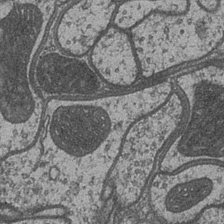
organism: Drosophila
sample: Optic medulla